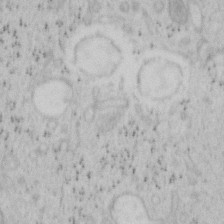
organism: Human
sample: HeLa cells